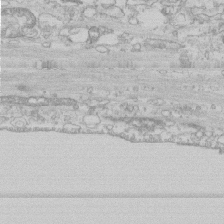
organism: Human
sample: CRL-1474